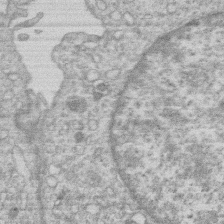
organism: Human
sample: Macrophage cells